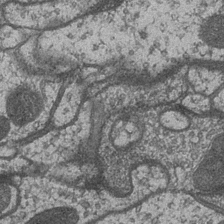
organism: Drosophila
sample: Optic medulla